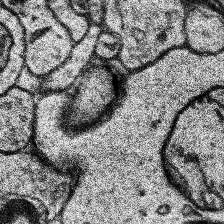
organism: Human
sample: Temporal Lobe